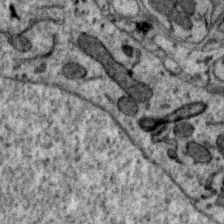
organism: Zebra finch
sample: Brain